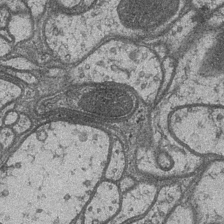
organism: Drosophila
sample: Optic medulla